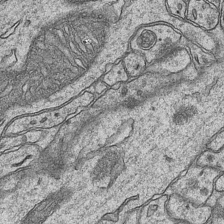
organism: Mouse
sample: CA1 Hippocampus